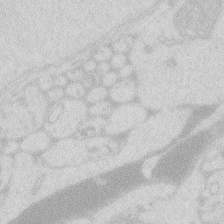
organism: Zebrafish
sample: Macrophage